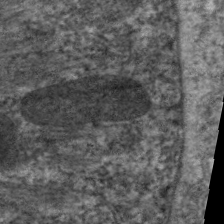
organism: C. elegans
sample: Pharynx